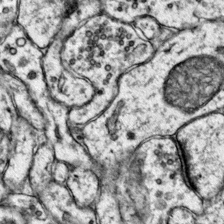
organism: Mouse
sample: Primary visual cortex